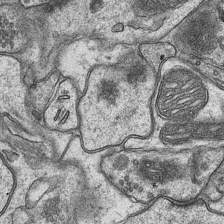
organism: Mouse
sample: CA1 Hippocampus